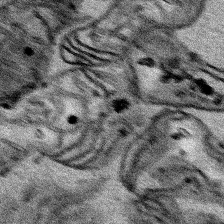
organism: Human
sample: Mitochondria in HCT116 cells